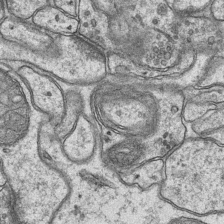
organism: Mouse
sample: CA1 Hippocampus